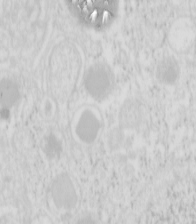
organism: Mouse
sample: Pancreas